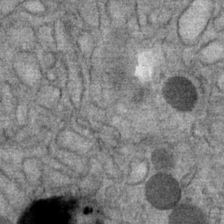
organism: Mouse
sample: Mouse Salivary gland